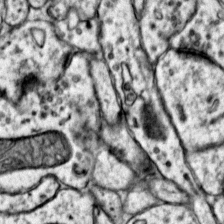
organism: Mouse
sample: Primary visual cortex